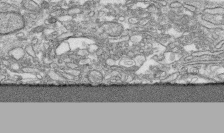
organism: Human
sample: CRL-1474